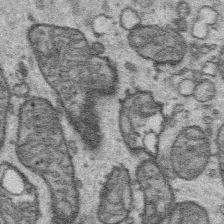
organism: Platynereis dumerilii